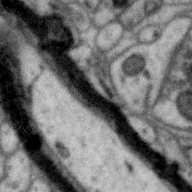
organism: Zebra finch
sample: Brain